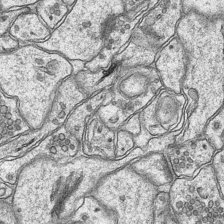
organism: Mouse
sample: CA1 Hippocampus